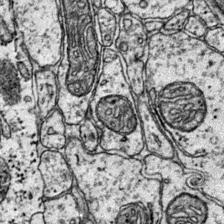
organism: Mouse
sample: Primary visual cortex